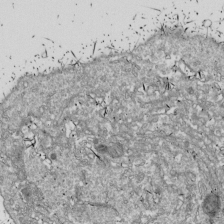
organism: Drosophila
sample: Cell division; meiosis; drosophila spermatocytes